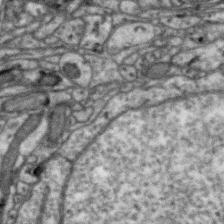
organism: Zebra finch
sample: Brain